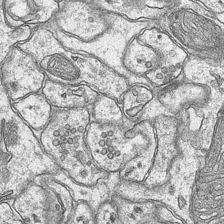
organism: Mouse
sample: CA1 Hippocampus